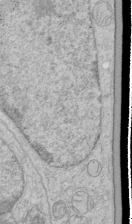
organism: Human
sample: Mitochondria in HCT116 cells